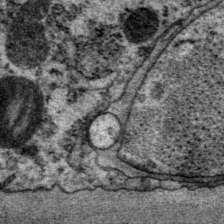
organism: P. pacificus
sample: Pharynx